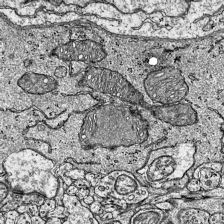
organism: Mouse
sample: Visual Cortex